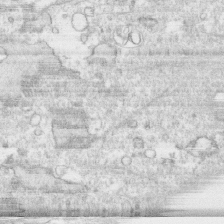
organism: Human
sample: CRL-1474